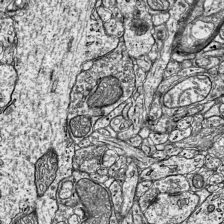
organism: Mouse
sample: Visual Cortex